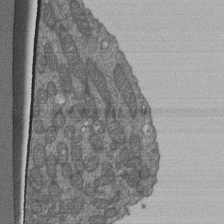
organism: Human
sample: Retinal organoid Rod and Cone cells